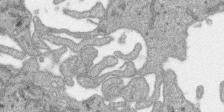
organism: Human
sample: Lung epithelial cells infected with SARS-CoV-2